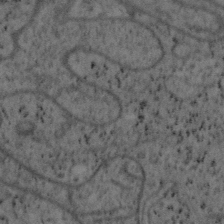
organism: Human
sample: HeLa cells